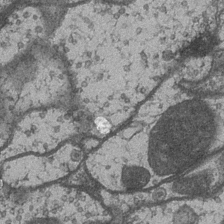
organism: Drosophila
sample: Optic medulla